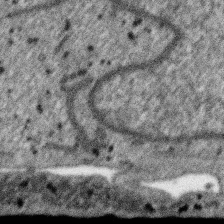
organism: Human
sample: Lung epithelial cells infected with SARS-CoV-2